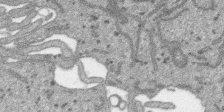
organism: Human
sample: Lung epithelial cells infected with SARS-CoV-2